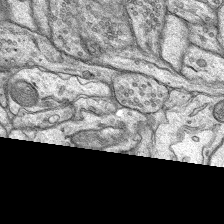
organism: Rat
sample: Hippocampus